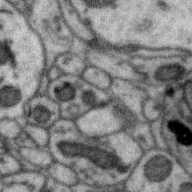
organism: Zebra finch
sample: Brain